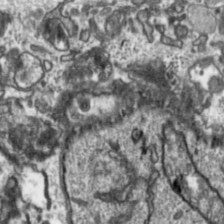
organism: Toxoplasma gondii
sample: Parasites in a vacuole inside a host cell